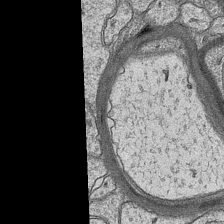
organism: Mouse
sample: CA1 Hippocampus